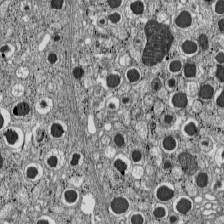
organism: C57BL Mouse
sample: Pancreatic islet